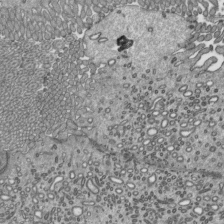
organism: Mouse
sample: Mouse epididymis efferent ductule cilia